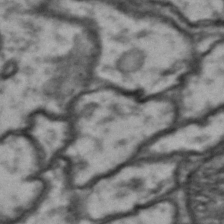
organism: Drosophila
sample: Brain